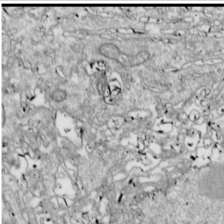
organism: Drosophila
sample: Cell division; meiosis; drosophila spermatocytes